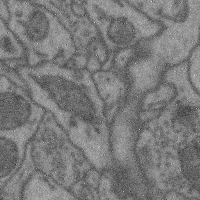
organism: Mouse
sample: Cerebral cortex